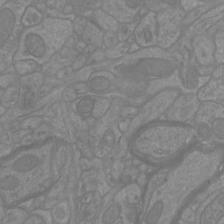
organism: Mouse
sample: Cortical neurons